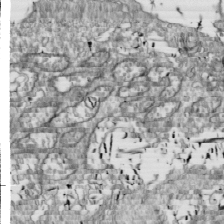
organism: Drosophila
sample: Cell division; meiosis; drosophila spermatocytes